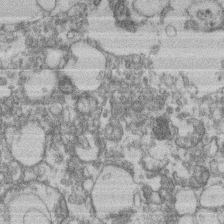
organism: Mouse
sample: T cell stromal cell synapse